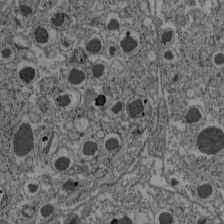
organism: C57BL Mouse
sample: Pancreatic islet